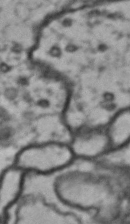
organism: Drosophila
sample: Brain